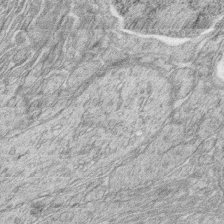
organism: Zebrafish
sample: synaptic ribbons in rod cells and cone cells